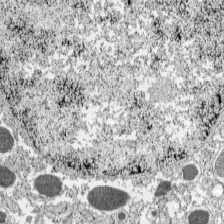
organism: C57BL Mouse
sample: Pancreatic islet